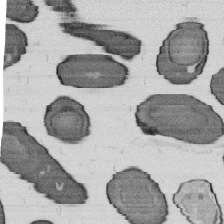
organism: B. subtilis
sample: Bacterial spore